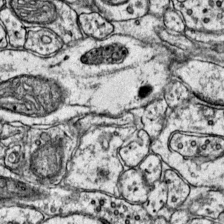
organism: Mouse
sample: Primary visual cortex